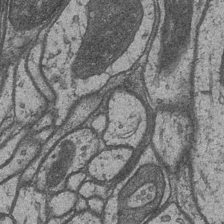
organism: Drosophila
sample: Optic medulla